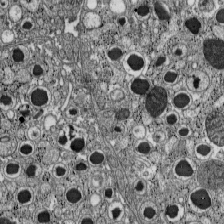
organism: C57BL Mouse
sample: Pancreatic islet